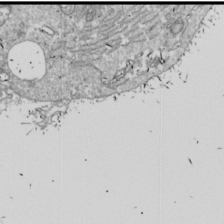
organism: Drosophila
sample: Cell division; meiosis; drosophila spermatocytes